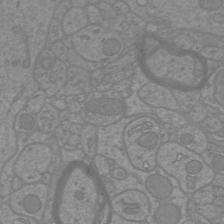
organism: Mouse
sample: Cortical neurons